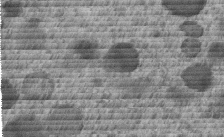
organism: C. elegans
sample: C. elegans embryo early stage